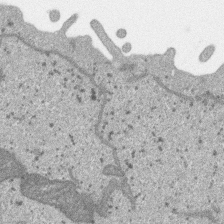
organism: Human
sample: Lung epithelial cells infected with SARS-CoV-2